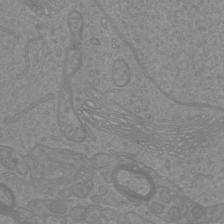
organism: Mouse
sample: Cortical neurons